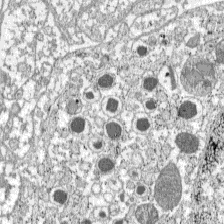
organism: C57BL Mouse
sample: Pancreatic islet